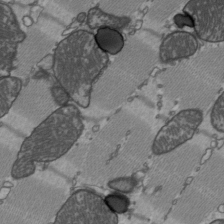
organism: C57BL Mouse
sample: Heart